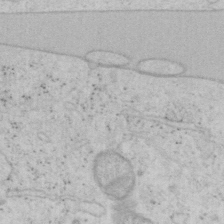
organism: Human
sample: HeLa cells